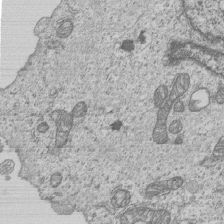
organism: Human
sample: MDA-MB-231 cells